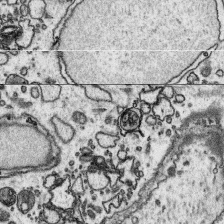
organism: Platynereis dumerilii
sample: Parapodia